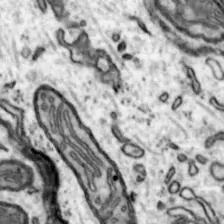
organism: Mouse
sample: Nucleus accumbens